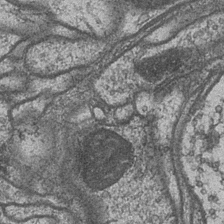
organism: Drosophila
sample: Optic medulla